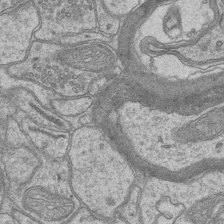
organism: Mouse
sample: CA1 Hippocampus